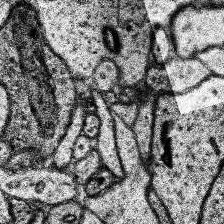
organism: Human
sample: Temporal Lobe